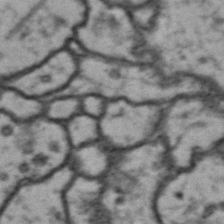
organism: Drosophila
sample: Brain